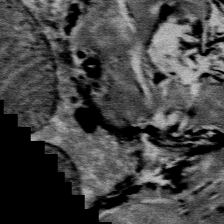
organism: Mouse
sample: Mouse Salivary gland